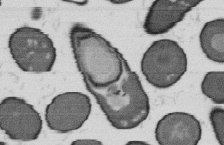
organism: B. subtilis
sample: Bacterial spore